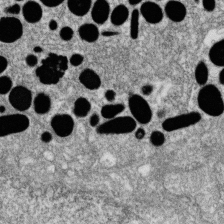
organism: Zebrafish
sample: Cilia; retinal pigment epithelium